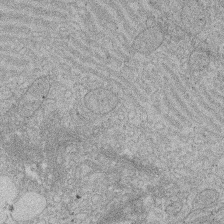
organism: Rat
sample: Salivary granule